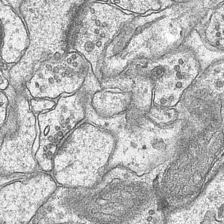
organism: Mouse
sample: CA1 Hippocampus